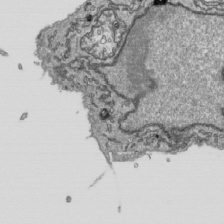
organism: Human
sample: Mitochondria in HCT116 cells